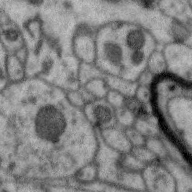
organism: Zebra finch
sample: Brain